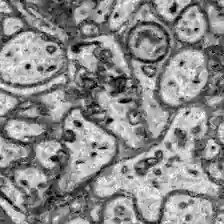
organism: Zebrafish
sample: Brain